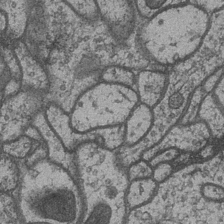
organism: Drosophila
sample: Optic medulla